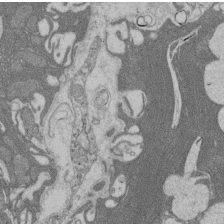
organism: Rat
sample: Salivary granule